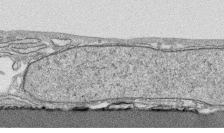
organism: Human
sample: CRL-1474